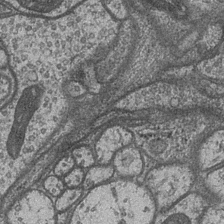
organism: Drosophila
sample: Optic medulla